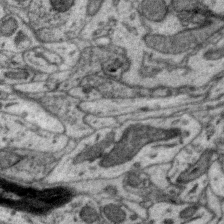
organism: Zebra finch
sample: Brain